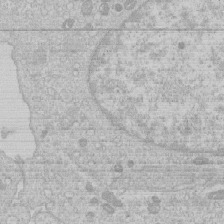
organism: Human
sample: Macrophage cells